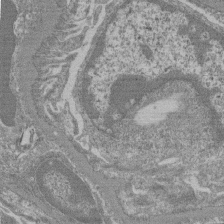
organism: Mouse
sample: Glomerulus